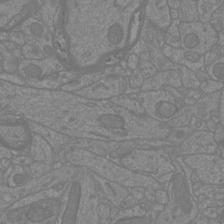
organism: Mouse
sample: Cortical neurons